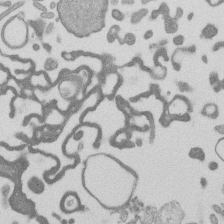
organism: Mouse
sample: Dividing mouse embryo 1 cell stage